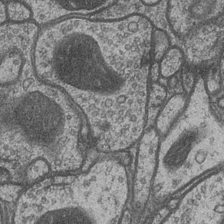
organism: Drosophila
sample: Optic medulla